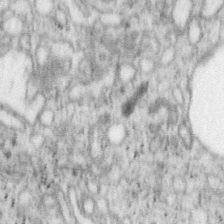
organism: Mouse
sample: OT-I killer T cells with ID8 ovarian cancer cells